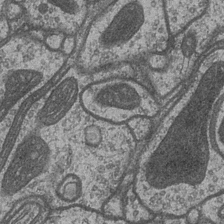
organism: Drosophila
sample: Optic medulla